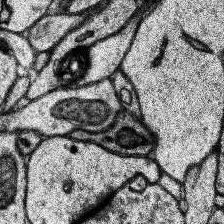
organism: Human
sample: Temporal Lobe